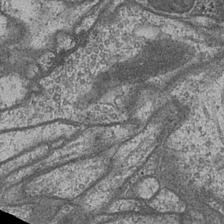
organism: Drosophila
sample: Optic medulla